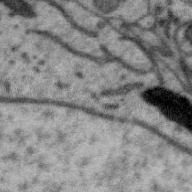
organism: Zebra finch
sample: Brain